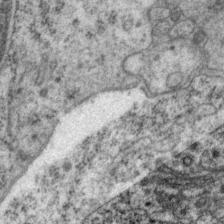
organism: P. pacificus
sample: Pharynx